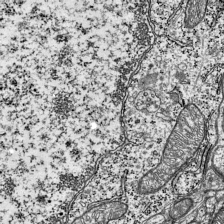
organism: Mouse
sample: Visual Cortex